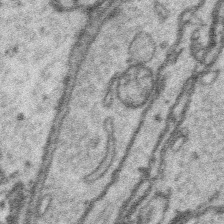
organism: Platynereis dumerilii